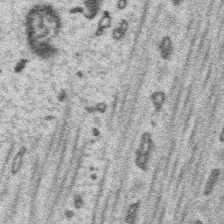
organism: Platynereis dumerilii